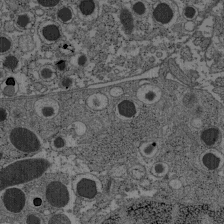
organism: C57BL Mouse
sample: Pancreatic islet